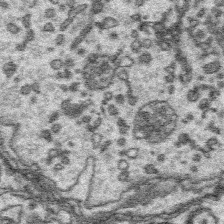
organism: Platynereis dumerilii